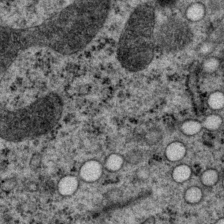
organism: P. pacificus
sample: Pharynx